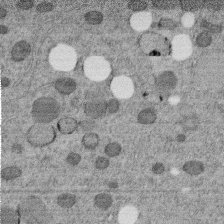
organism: C. elegans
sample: C. elegans embryo early stage